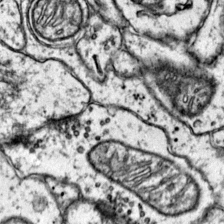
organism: Mouse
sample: Primary visual cortex